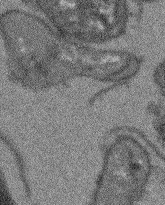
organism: Arabidopsis thaliana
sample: Root tip